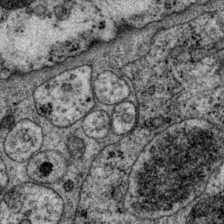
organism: P. pacificus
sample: Pharynx